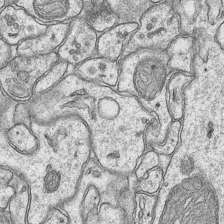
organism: Mouse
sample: CA1 Hippocampus